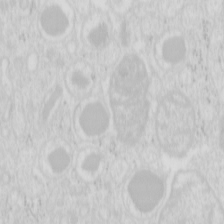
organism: Mouse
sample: Pancreas